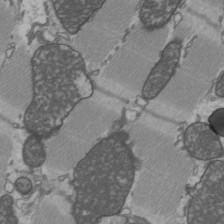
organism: C57BL Mouse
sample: Heart